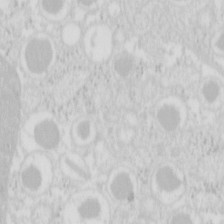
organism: Mouse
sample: Pancreas